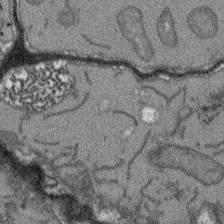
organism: Arabidopsis thaliana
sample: Root tip